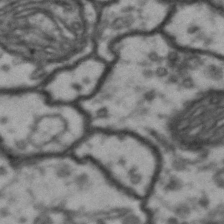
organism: Drosophila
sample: Brain